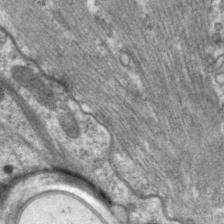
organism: C. elegans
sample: Pharynx